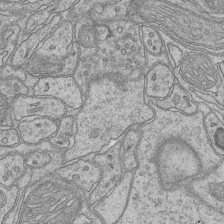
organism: Mouse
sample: CA1 Hippocampus